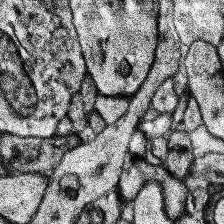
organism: Human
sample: Temporal Lobe